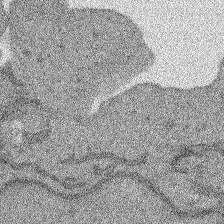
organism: Human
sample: HeLa cells